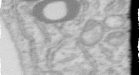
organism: Human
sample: Centriole in RPE cells